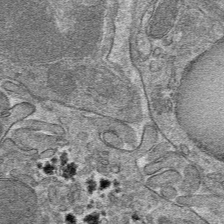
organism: Mouse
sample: Mouse hepatocytes